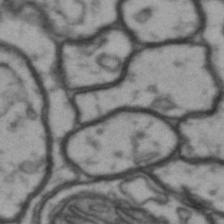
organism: Drosophila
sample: Brain